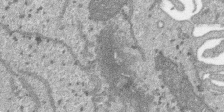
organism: Human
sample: Lung epithelial cells infected with SARS-CoV-2